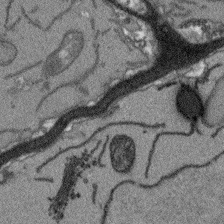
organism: Arabidopsis thaliana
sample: Root tip